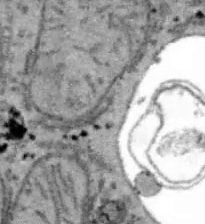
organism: Mouse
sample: Liver from an obese (ob/ob) mouse